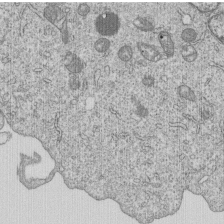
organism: Human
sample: MDA-MB-231 cells